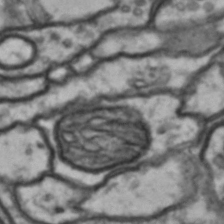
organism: Drosophila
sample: Brain